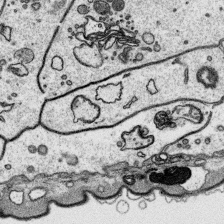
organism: Platynereis dumerilii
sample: Parapodia